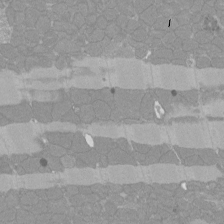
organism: Rat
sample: Left ventricle